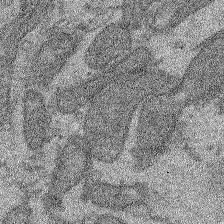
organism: Human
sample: HeLa cells